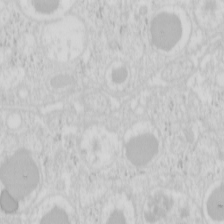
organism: Mouse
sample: Pancreas